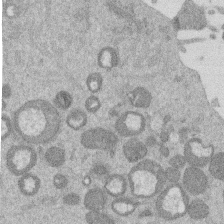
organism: Mouse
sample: Dividing mouse embryo 1 cell stage